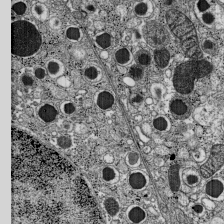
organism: C57BL Mouse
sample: Pancreatic islet